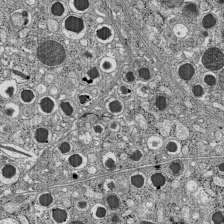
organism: C57BL Mouse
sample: Pancreatic islet